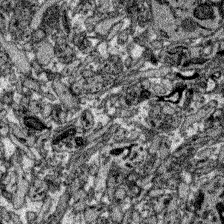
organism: Zebrafish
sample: Larval olfactory bulb